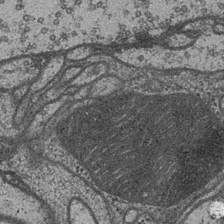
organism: Drosophila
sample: Optic medulla